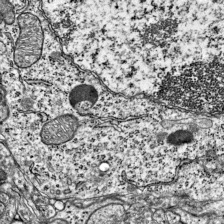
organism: Mouse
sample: Visual Cortex